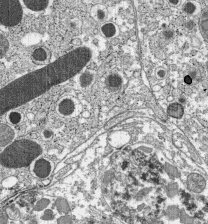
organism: C57BL Mouse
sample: Pancreatic islet